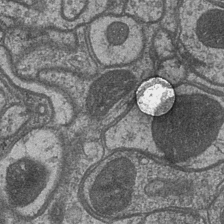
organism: Drosophila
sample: Optic medulla